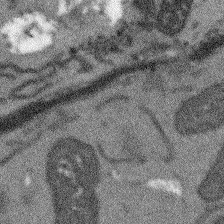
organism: Arabidopsis thaliana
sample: Root tip